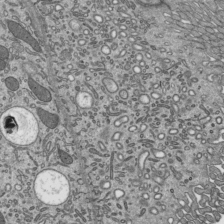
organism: Mouse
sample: Mouse epididymis efferent ductule cilia